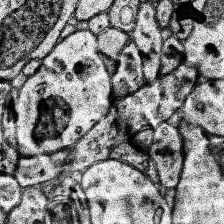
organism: Human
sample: Temporal Lobe